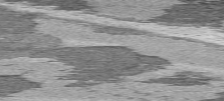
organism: C57BL Mouse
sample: Heart